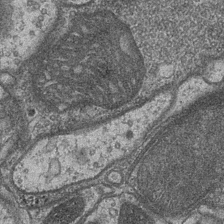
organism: Drosophila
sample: Optic medulla